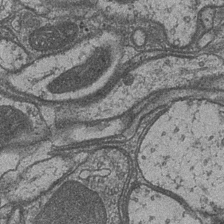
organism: Drosophila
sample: Optic medulla